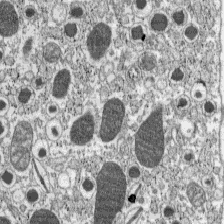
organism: C57BL Mouse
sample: Pancreatic islet